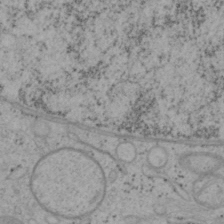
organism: Human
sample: HeLa cells